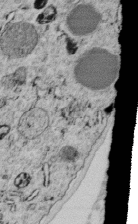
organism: C. elegans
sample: C. elegans embryo early stage